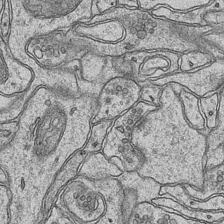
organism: Mouse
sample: CA1 Hippocampus